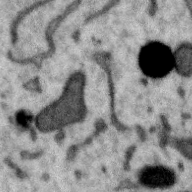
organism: Zebra finch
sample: Brain